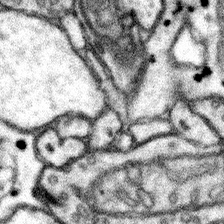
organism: Mouse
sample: Somatosensory cortex neuropil